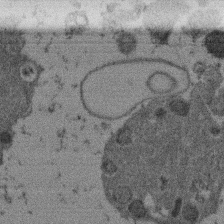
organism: Mouse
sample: Dividing mouse embryo 1 cell stage